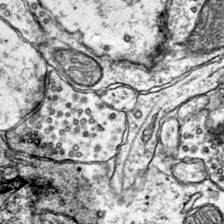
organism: Mouse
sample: Primary visual cortex